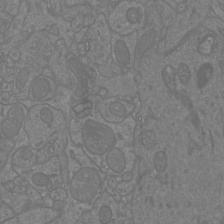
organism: Mouse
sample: Cortical neurons